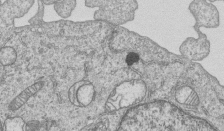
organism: Human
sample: MDA-MB-231 cells